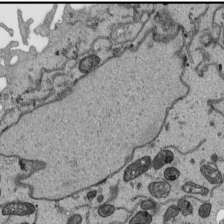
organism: Human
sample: Mitochondria in HCT116 cells